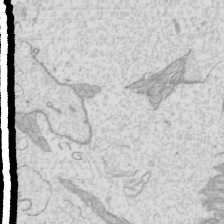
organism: Mouse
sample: Cilia; mouse epididymis